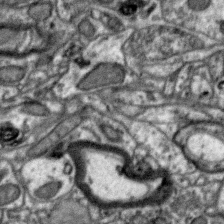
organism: Zebra finch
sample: Brain